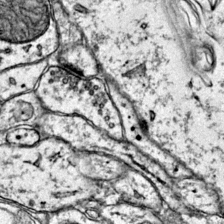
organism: Mouse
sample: Primary visual cortex